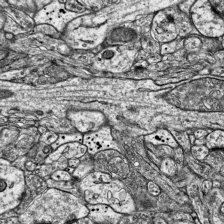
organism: Mouse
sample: Visual Cortex